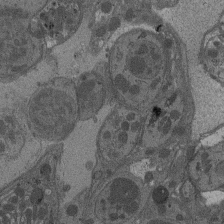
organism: Drosophila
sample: Antenna